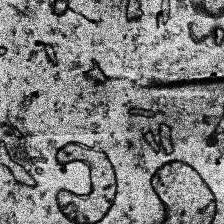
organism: Human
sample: Temporal Lobe